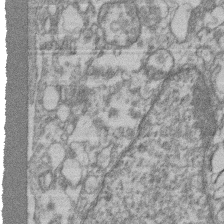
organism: Mouse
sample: T cell stromal cell synapse